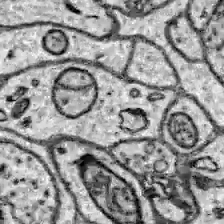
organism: Zebrafish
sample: Brain